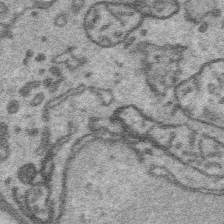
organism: Platynereis dumerilii